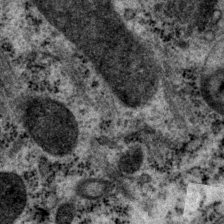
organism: P. pacificus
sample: Pharynx